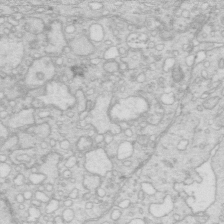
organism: Mouse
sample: Multiciliated cells